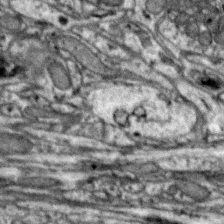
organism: Zebra finch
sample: Brain